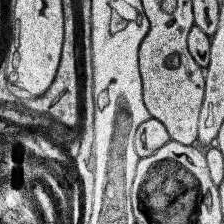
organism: Human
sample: Temporal Lobe